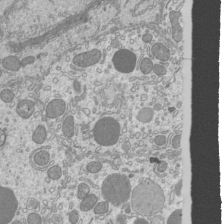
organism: Mouse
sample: Cilia; mouse epididymis